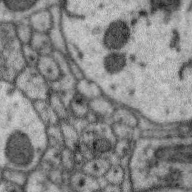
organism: Zebra finch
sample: Brain